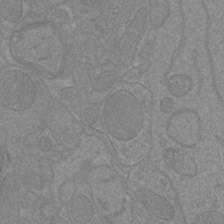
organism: Mouse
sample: Cortical neurons